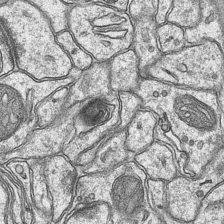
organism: Mouse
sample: CA1 Hippocampus